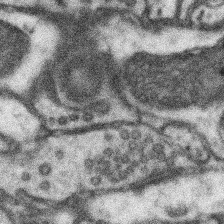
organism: Mouse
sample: Somatosensory cortex neuropil